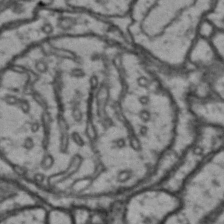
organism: Drosophila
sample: Brain